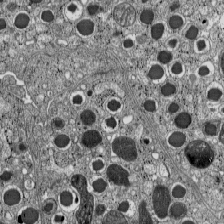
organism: C57BL Mouse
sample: Pancreatic islet